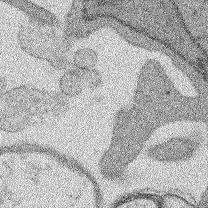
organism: Human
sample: HeLa cells